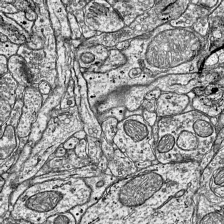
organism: Mouse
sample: Visual Cortex